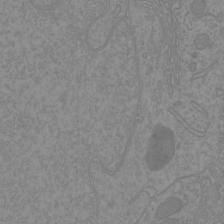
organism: Mouse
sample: Cortical neurons